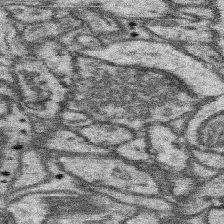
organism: Mouse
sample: Somatosensory cortex neuropil